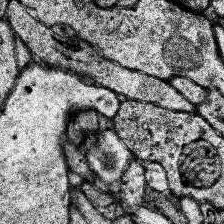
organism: Human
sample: Temporal Lobe